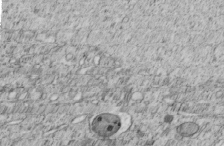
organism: C. elegans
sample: C. elegans embryo early stage